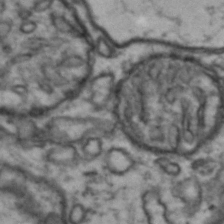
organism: Drosophila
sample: Brain